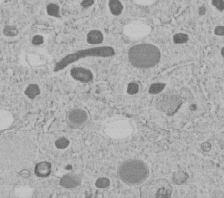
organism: C. elegans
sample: C. elegans embryo early stage